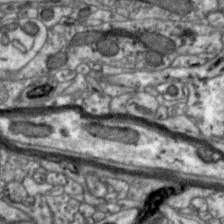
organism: Zebra finch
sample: Brain